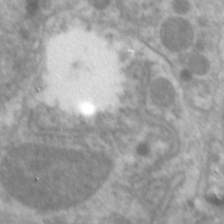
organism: C. elegans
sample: Pharynx